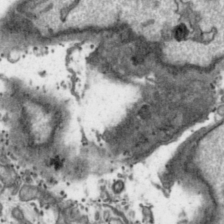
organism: Toxoplasma gondii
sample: Parasites in a vacuole inside a host cell